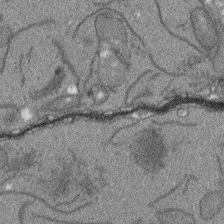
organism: Arabidopsis thaliana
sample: Root tip